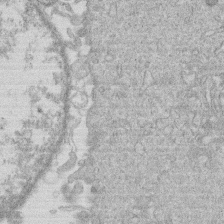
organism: Human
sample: Macrophage cells